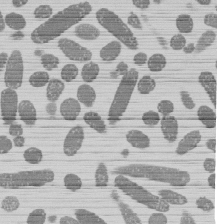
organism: E. coli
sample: Bacterial nucleoid